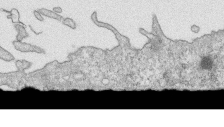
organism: Human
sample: HeLa cell HIV synapse